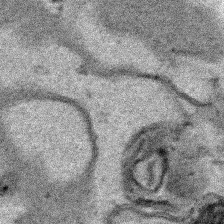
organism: Human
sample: Mitochondria in HCT116 cells